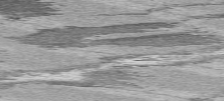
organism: C57BL Mouse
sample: Heart